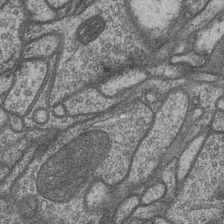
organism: Drosophila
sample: Optic medulla